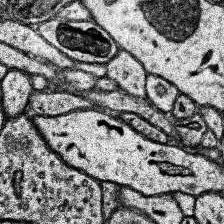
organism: Human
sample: Temporal Lobe